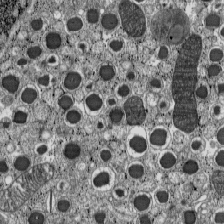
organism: C57BL Mouse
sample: Pancreatic islet